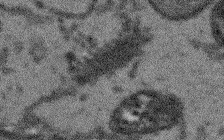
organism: Arabidopsis thaliana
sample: Root tip